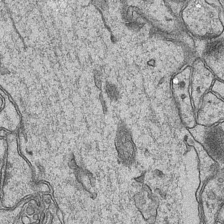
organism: Mouse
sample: CA1 Hippocampus